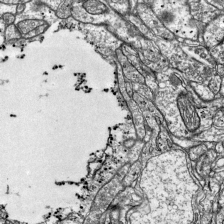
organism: Mouse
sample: Visual Cortex